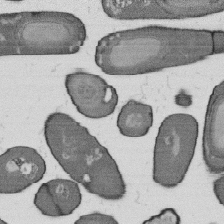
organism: B. subtilis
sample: Bacterial spore